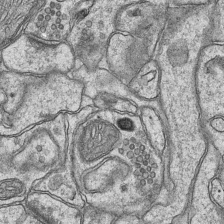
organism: Mouse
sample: CA1 Hippocampus